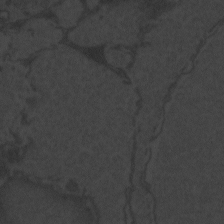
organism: Zebrafish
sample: Macrophage infected with Toxoplasma gondii